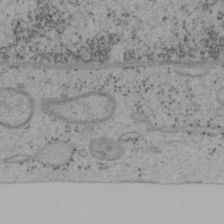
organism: Human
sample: HeLa cells